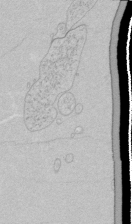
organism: Human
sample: Mitochondria in HCT116 cells